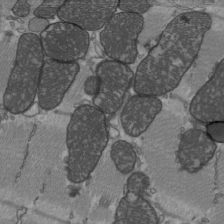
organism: C57BL Mouse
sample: Heart